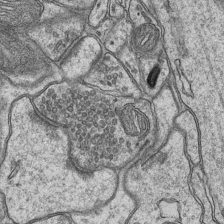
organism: Mouse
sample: CA1 Hippocampus